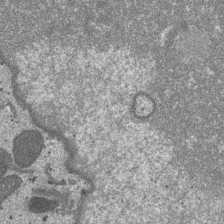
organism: Human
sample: Lung epithelial cells infected with SARS-CoV-2